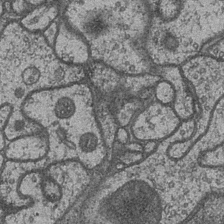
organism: Drosophila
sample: Optic medulla